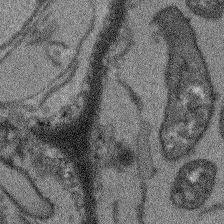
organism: Arabidopsis thaliana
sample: Root tip